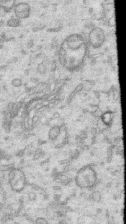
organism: Human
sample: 1205lu cells